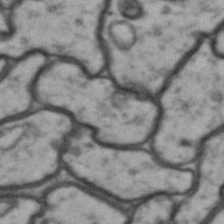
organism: Drosophila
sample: Brain